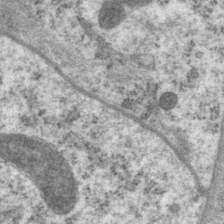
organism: P. pacificus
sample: Pharynx